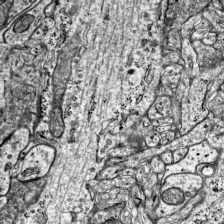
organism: Mouse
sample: Visual Cortex